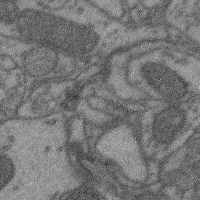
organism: Mouse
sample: Cerebral cortex